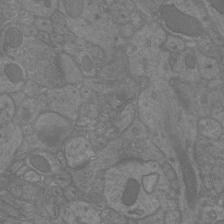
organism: Mouse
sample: Cortical neurons